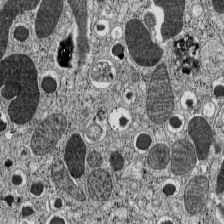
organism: C57BL Mouse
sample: Pancreatic islet